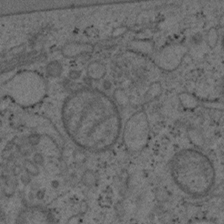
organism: Human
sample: HeLa cells